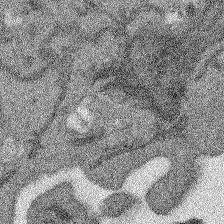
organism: Human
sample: HeLa cells